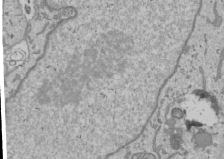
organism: Human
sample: Mitochondria in U2OS cells